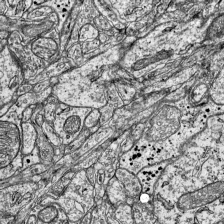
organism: Mouse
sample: Visual Cortex